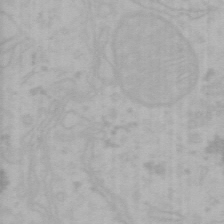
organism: Mouse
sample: Choroid plexus